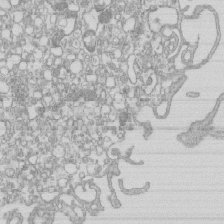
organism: Mouse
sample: Macrophages